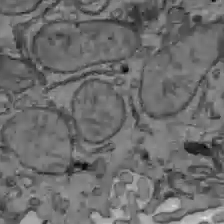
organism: C57BL Mouse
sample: Liver